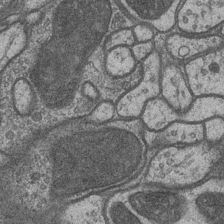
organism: Drosophila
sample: Optic medulla